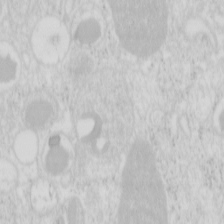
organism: Mouse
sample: Pancreas